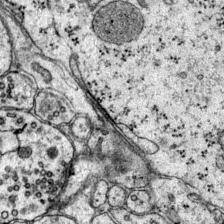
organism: Mouse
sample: Primary visual cortex